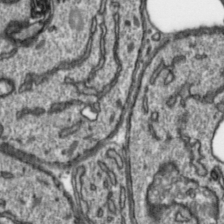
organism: Toxoplasma gondii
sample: Parasites in a vacuole inside a host cell